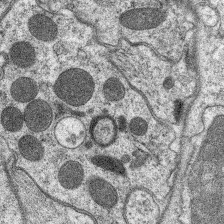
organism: C. elegans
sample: Pharynx